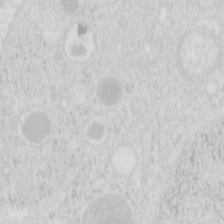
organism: Mouse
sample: Pancreas